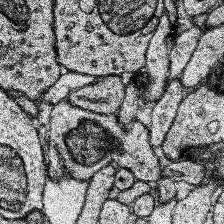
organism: Human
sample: Temporal Lobe